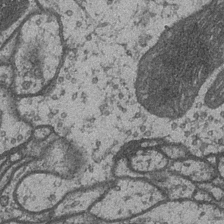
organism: Drosophila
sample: Optic medulla